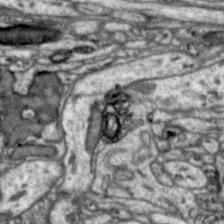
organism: Zebra finch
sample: Brain